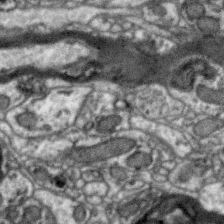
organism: Zebra finch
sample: Brain